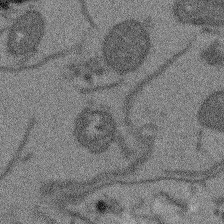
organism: Arabidopsis thaliana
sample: Root tip